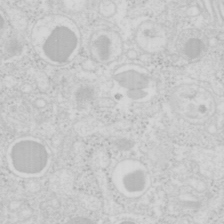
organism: Mouse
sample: Pancreas